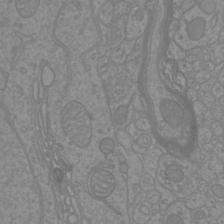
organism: Mouse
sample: Cortical neurons